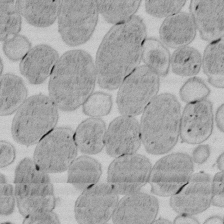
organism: E. coli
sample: Bacterial nucleoid